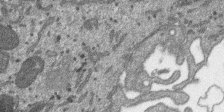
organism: Human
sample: Lung epithelial cells infected with SARS-CoV-2